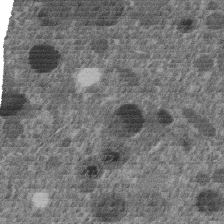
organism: C. elegans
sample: C. elegans embryo early stage